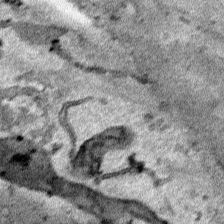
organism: Human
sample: Mitochondria in HCT116 cells